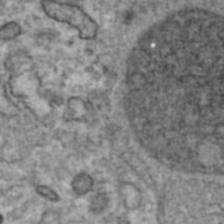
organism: Human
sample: Blood